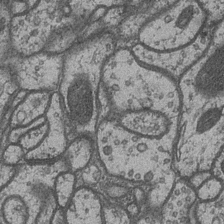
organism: Drosophila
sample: Optic medulla